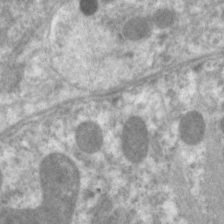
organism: C. elegans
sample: Pharynx